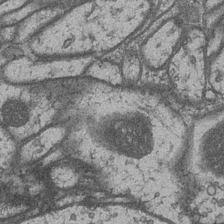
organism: Drosophila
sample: Optic medulla